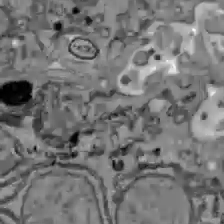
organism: C57BL Mouse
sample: Liver